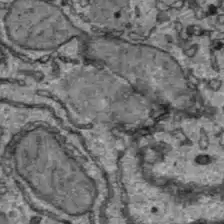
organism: C57BL Mouse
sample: Liver